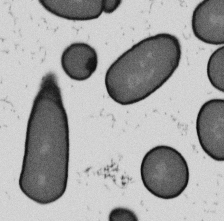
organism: B. subtilis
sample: Bacterial spore